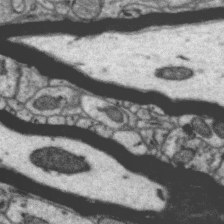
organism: Zebra finch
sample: Brain